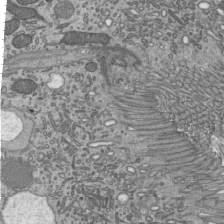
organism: Mouse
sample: Mouse epididymis efferent ductule cilia